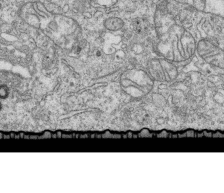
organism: Human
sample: HeLa cell HIV synapse